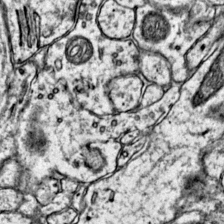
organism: Mouse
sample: Primary visual cortex